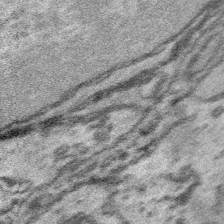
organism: Platynereis dumerilii